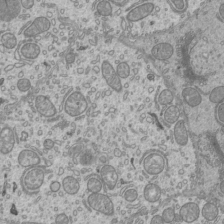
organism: Mouse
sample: Cilia; mouse epididymis